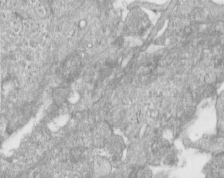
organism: Human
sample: Centriole in RPE cells